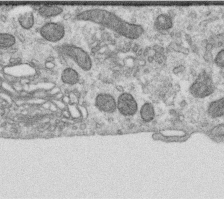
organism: Human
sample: Centriole in RPE cells